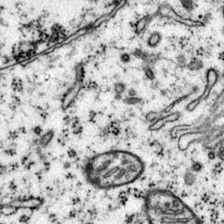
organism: Mouse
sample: Primary visual cortex